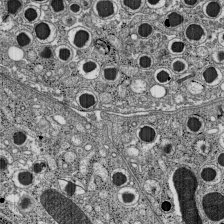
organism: C57BL Mouse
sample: Pancreatic islet